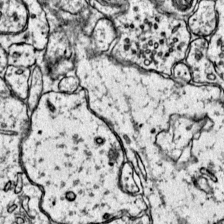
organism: Mouse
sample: Primary visual cortex